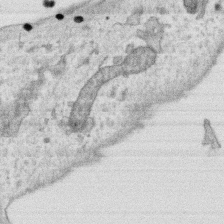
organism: Human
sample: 1205lu cells